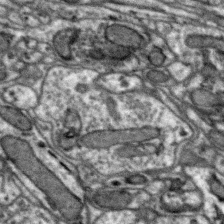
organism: Zebra finch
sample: Brain